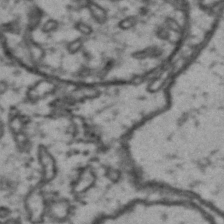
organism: Drosophila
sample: Brain